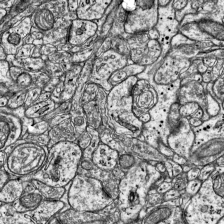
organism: Mouse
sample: Visual Cortex